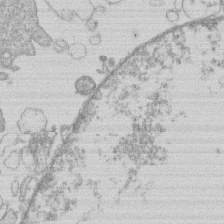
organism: Human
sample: Macrophage cells